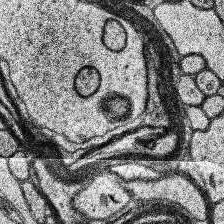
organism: Human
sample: Temporal Lobe